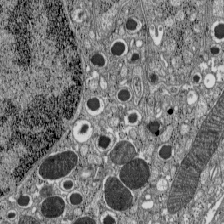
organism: C57BL Mouse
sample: Pancreatic islet